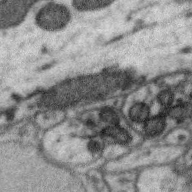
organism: Zebra finch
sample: Brain